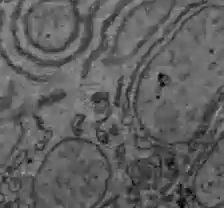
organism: C57BL Mouse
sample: Liver